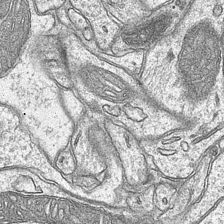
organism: Mouse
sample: CA1 Hippocampus